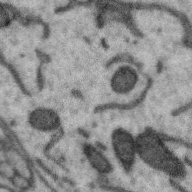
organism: Zebra finch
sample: Brain